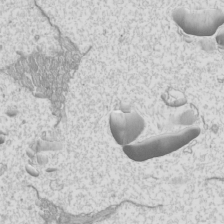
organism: Mouse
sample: Cilia; mouse epididymis